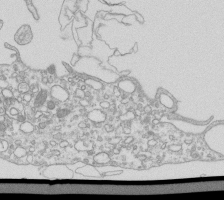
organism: Mouse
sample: Macrophages